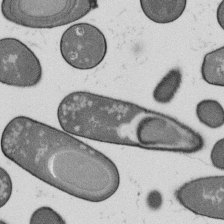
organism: B. subtilis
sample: Bacterial spore